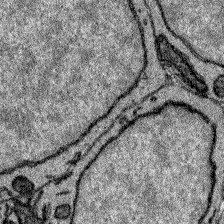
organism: Zebrafish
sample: Larval olfactory bulb